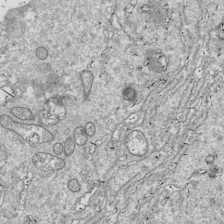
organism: Drosophila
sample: Cell division; meiosis; drosophila spermatocytes